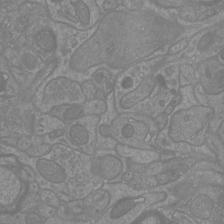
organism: Mouse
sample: Cortical neurons